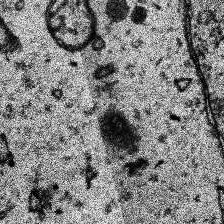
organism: Human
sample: Temporal Lobe